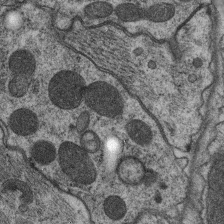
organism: C. elegans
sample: Pharynx